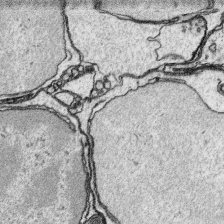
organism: Platynereis dumerilii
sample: Parapodia